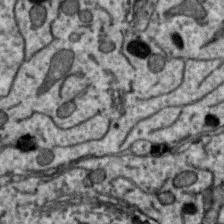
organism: Zebra finch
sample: Brain